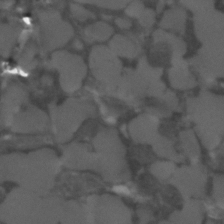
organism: C. elegans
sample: C. elegans embryo